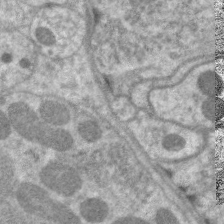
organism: C. elegans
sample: Pharynx